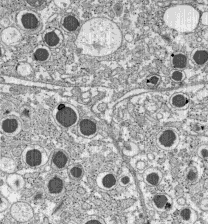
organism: C57BL Mouse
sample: Pancreatic islet